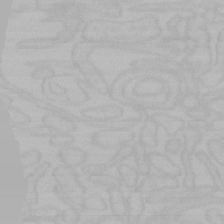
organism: Mouse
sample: Choroid plexus